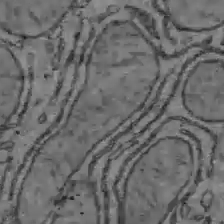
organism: C57BL Mouse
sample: Liver